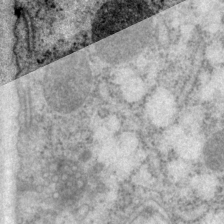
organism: P. pacificus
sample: Pharynx